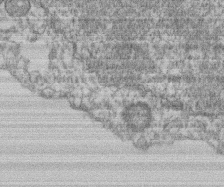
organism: Mouse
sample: T cell stromal cell synapse